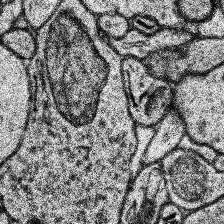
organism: Human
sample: Temporal Lobe